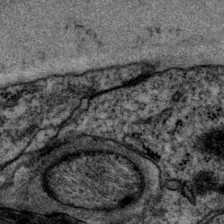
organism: P. pacificus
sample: Pharynx